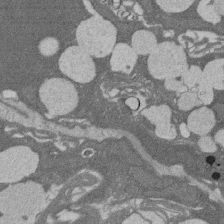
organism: Rat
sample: Salivary granule